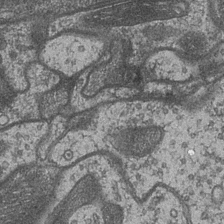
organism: Drosophila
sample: Optic medulla